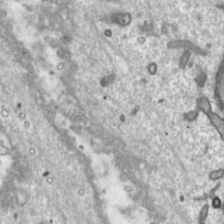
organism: Toxoplasma gondii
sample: Parasites in a vacuole inside a host cell